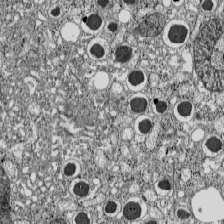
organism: C57BL Mouse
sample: Pancreatic islet